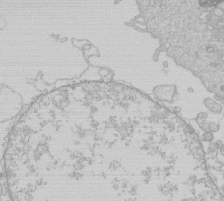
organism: Human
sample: Macrophage cells